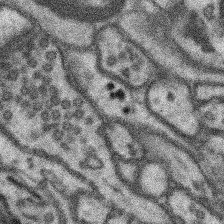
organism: Mouse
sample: Somatosensory cortex neuropil